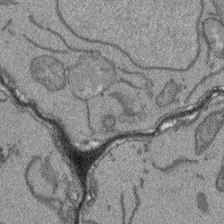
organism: Arabidopsis thaliana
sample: Root tip